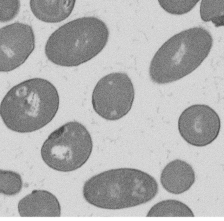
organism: B. subtilis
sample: Bacterial spore